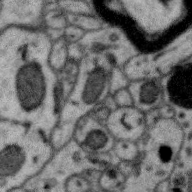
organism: Zebra finch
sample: Brain